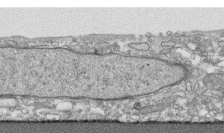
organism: Human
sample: CRL-1474